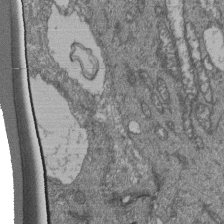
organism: Human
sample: Retinal organoid Rod and Cone cells